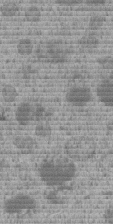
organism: C. elegans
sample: C. elegans embryo early stage